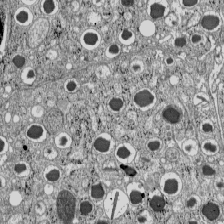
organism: C57BL Mouse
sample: Pancreatic islet